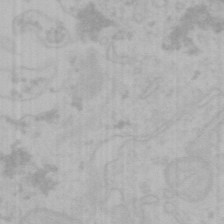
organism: Mouse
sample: Choroid plexus